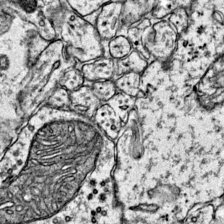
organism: Mouse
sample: Primary visual cortex